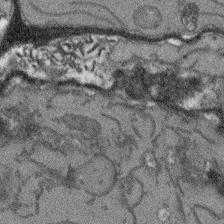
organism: Arabidopsis thaliana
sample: Root tip